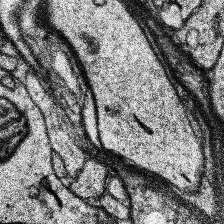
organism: Human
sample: Temporal Lobe